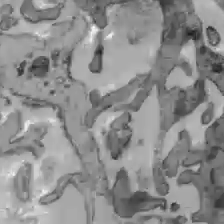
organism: C57BL Mouse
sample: Liver